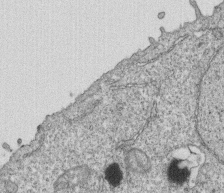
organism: Human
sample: HeLa cell HIV synapse